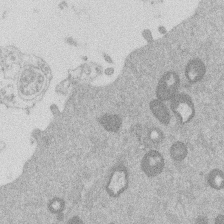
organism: Mouse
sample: Dividing mouse embryo 1 cell stage